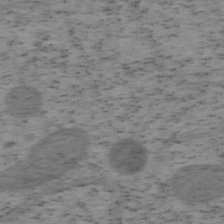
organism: Mouse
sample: OT-I killer T cells with ID8 ovarian cancer cells